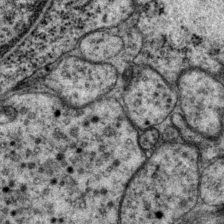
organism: P. pacificus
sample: Pharynx